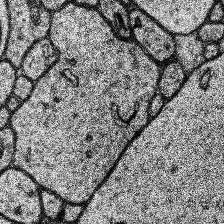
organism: Human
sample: Temporal Lobe